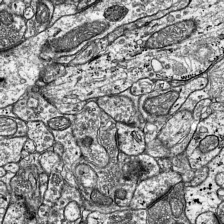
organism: Mouse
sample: Visual Cortex